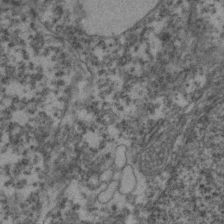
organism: Zebrafish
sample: Zebrafish embryo